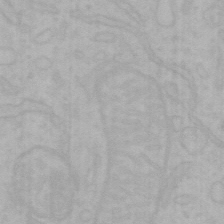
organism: Mouse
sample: Choroid plexus